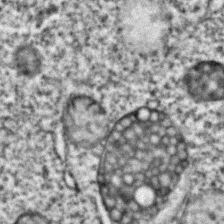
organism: C. elegans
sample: C. elegans embryo